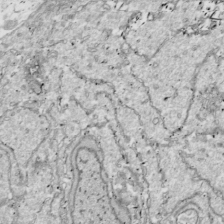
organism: Drosophila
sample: Cell division; meiosis; drosophila spermatocytes